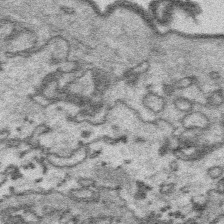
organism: Platynereis dumerilii